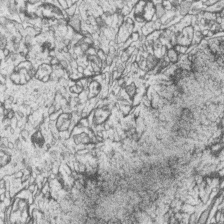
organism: Zebrafish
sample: synaptic ribbons in rod cells and cone cells